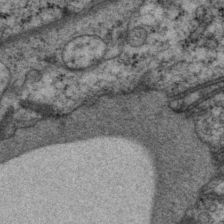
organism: P. pacificus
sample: Pharynx